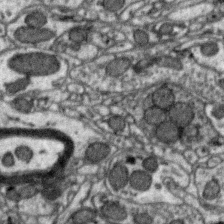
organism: Zebra finch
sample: Brain